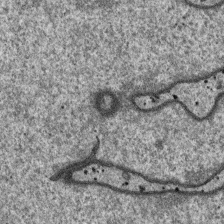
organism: Human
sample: Lung epithelial cells, uninfected (mock) control